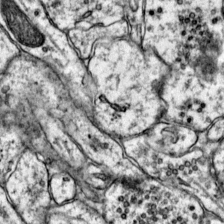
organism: Mouse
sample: Primary visual cortex